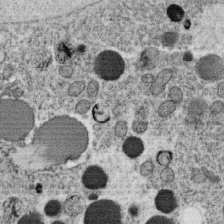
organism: C. elegans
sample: C. elegans oocyte; sperm cells